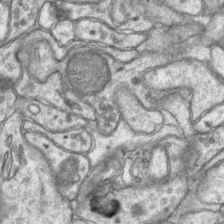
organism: Mouse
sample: CA1 Hippocampus